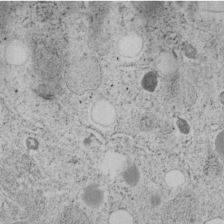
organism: C. elegans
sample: C. elegans embryo early stage